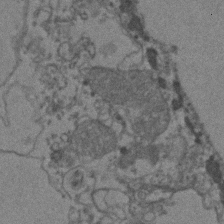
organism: Zebrafish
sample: Zebrafish embryo